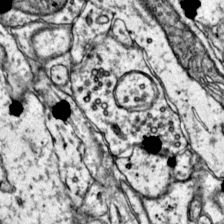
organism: Mouse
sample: Primary visual cortex